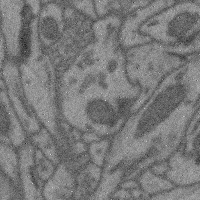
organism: Mouse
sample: Cerebral cortex